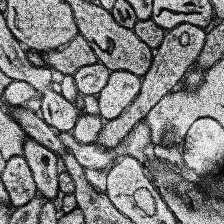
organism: Human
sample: Temporal Lobe